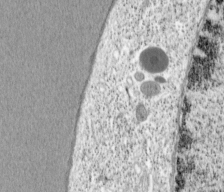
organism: African green monkey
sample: COS-7 cells